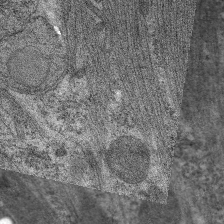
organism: C. elegans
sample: Pharynx